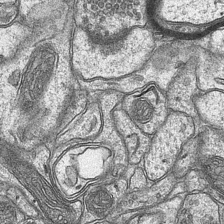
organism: Mouse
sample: CA1 Hippocampus